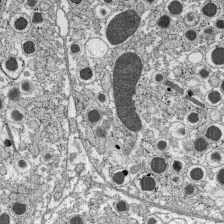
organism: C57BL Mouse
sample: Pancreatic islet